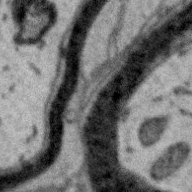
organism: Zebra finch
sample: Brain